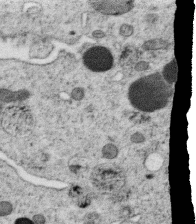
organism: C. elegans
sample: C. elegans oocyte; sperm cells